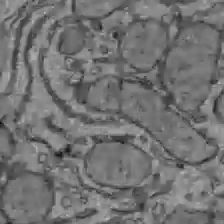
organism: C57BL Mouse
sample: Liver